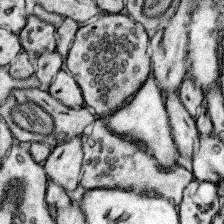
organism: Mouse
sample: Somatosensory cortex neuropil